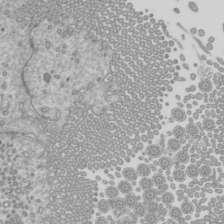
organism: Mouse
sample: Cilia; mouse epididymis